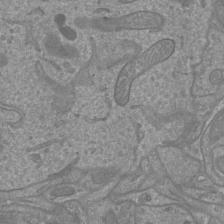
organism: Mouse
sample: Cortical neurons